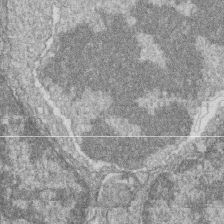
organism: Zebrafish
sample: Cilia; retinal pigment epithelium